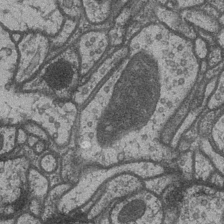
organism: Drosophila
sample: Optic medulla